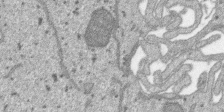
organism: Human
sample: Lung epithelial cells infected with SARS-CoV-2